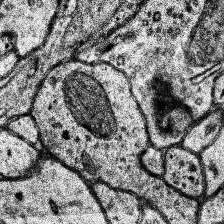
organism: Human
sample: Temporal Lobe